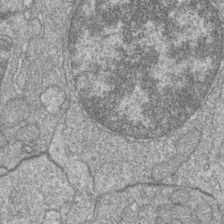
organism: Zebrafish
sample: Cilia; retinal pigment epithelium